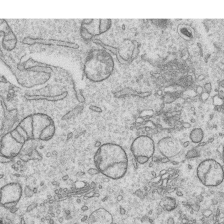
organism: Human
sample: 1205lu cells